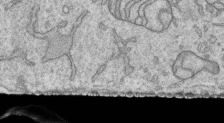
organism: Human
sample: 1205lu cells